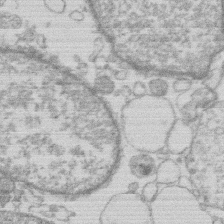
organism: Human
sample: Macrophage cells